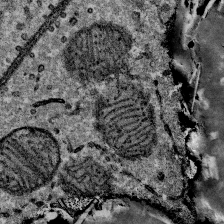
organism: Mouse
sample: Mouse Salivary gland